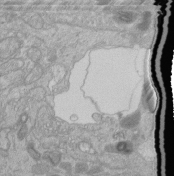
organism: Human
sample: Retinal organoid Rod and Cone cells